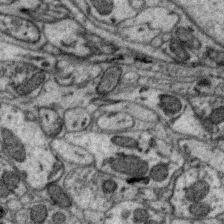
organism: Zebra finch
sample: Brain